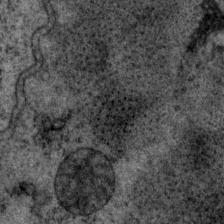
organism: P. pacificus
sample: Pharynx